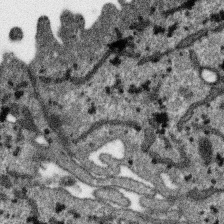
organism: Human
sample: Lung epithelial cells infected with SARS-CoV-2